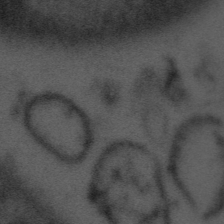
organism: Tuwongella immobilis